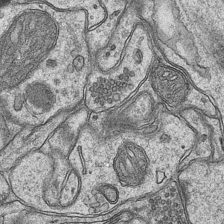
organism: Mouse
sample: CA1 Hippocampus